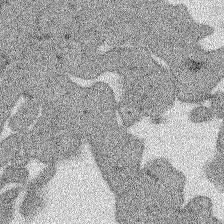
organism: Human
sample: HeLa cells